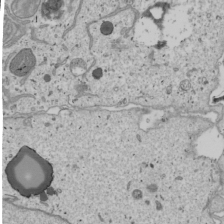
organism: Human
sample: Mitochondria in U2OS cells